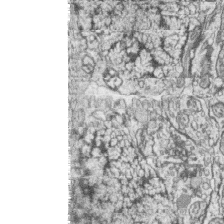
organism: Zebrafish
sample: synaptic ribbons in rod cells and cone cells